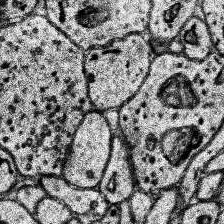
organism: Human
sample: Temporal Lobe